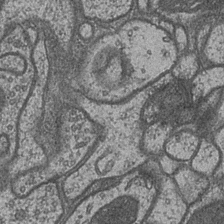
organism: Drosophila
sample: Optic medulla